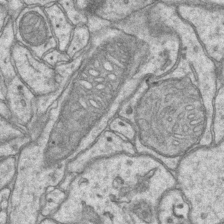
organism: Mouse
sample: CA1 Hippocampus